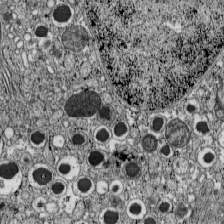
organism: C57BL Mouse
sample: Pancreatic islet